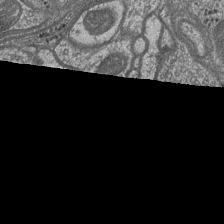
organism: Drosophila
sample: Optic medulla